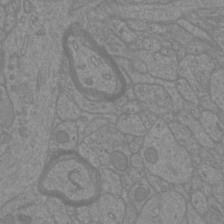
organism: Mouse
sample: Cortical neurons